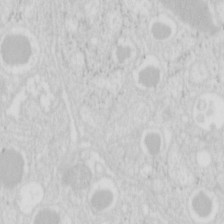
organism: Mouse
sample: Pancreas